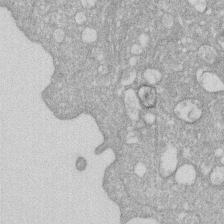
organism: Human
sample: HIV infected U937 cells